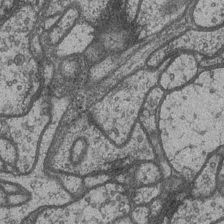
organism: Drosophila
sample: Optic medulla